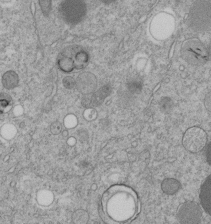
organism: C. elegans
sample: C. elegans embryo early stage